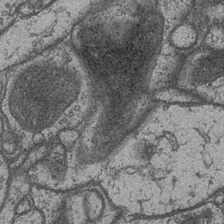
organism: Drosophila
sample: Optic medulla